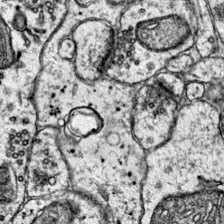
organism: Mouse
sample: Primary visual cortex